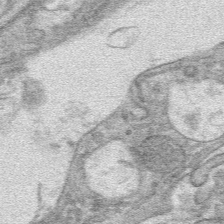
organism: Mouse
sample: Mouse hepatocytes